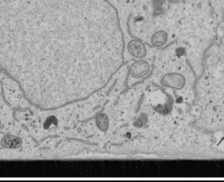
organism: Human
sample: Mitochondria in U2OS cells